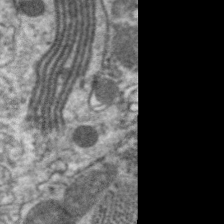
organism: C. elegans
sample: Pharynx